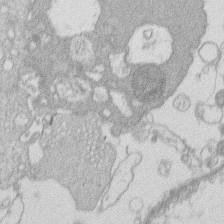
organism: Human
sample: Macrophage cells